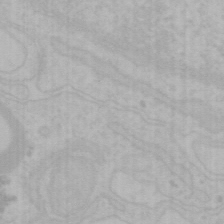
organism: Mouse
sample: Choroid plexus